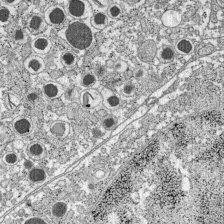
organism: C57BL Mouse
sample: Pancreatic islet